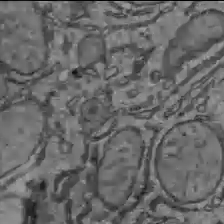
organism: C57BL Mouse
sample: Liver